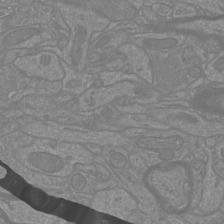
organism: Mouse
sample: Cortical neurons